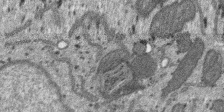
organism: Human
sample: Lung epithelial cells infected with SARS-CoV-2